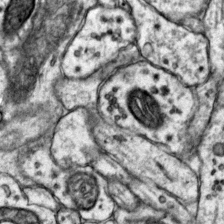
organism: Mouse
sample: Primary visual cortex